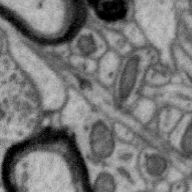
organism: Zebra finch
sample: Brain